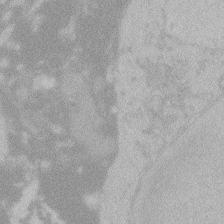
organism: Zebrafish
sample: Macrophage infected with Toxoplasma gondii